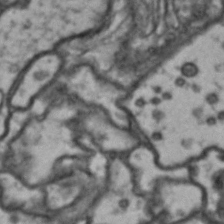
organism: Drosophila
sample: Brain